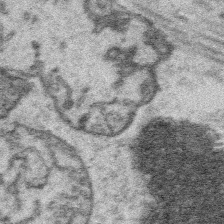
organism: Platynereis dumerilii